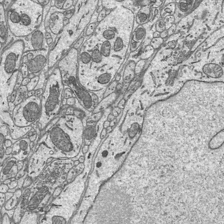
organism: Mouse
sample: Suprachiasmatic nucleus